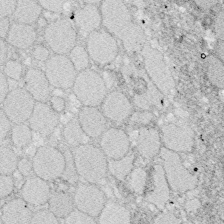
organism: Zebrafish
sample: Whole-Brain